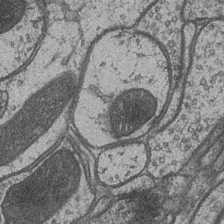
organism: Drosophila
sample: Optic medulla